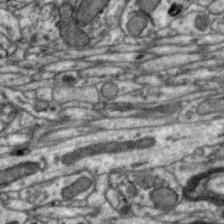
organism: Zebra finch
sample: Brain